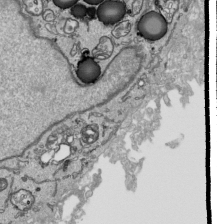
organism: Human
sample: Mitochondria in HCT116 cells